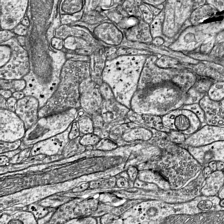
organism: Mouse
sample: Visual Cortex